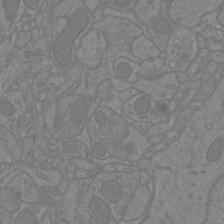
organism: Mouse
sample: Cortical neurons